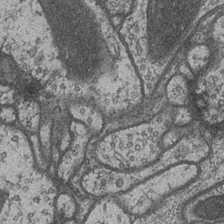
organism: Drosophila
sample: Optic medulla